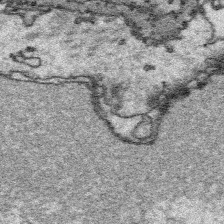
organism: Platynereis dumerilii